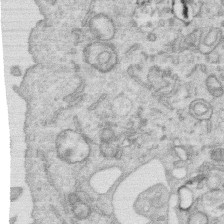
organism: Human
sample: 1205lu cells